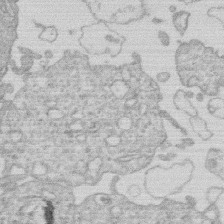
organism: Human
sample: Macrophage cells